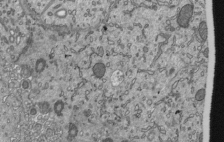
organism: Mouse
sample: Mouse epididymis efferent ductule cilia